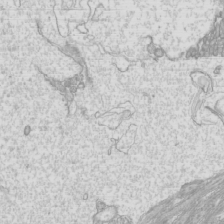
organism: Mouse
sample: Cilia; mouse epididymis